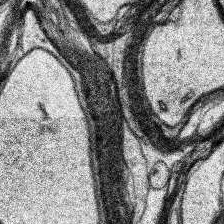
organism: Human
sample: Temporal Lobe